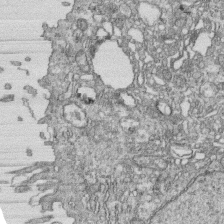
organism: Human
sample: HeLa cell HIV synapse